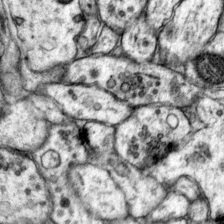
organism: Mouse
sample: Primary visual cortex